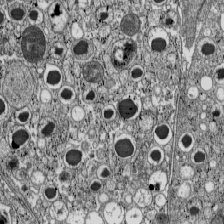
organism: C57BL Mouse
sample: Pancreatic islet